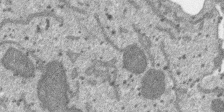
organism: Human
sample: Lung epithelial cells infected with SARS-CoV-2